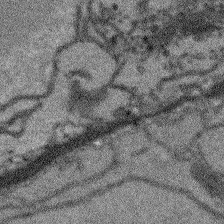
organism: Arabidopsis thaliana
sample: Root tip